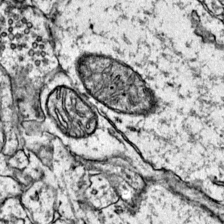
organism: Mouse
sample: Primary visual cortex